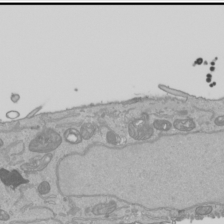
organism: Human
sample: Mitochondria in HCT116 cells